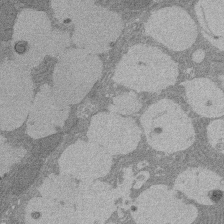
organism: Rat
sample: Salivary granule